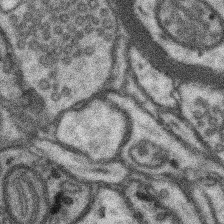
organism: Mouse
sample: Somatosensory cortex neuropil